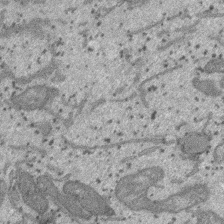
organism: Human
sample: Lung epithelial cells infected with SARS-CoV-2